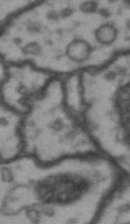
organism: Drosophila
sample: Brain